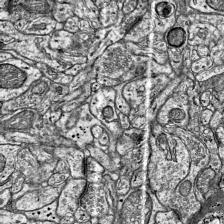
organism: Mouse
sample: Visual Cortex